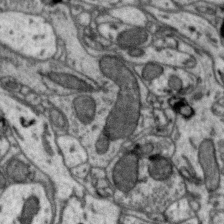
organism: Zebra finch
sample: Brain